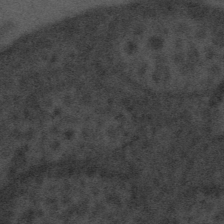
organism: Tuwongella immobilis